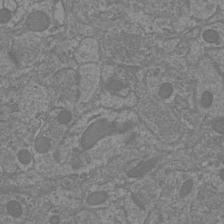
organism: Mouse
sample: Cortical neurons